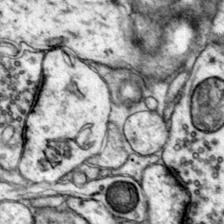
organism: Mouse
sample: Primary visual cortex